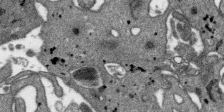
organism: Human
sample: Lung epithelial cells, uninfected (mock) control